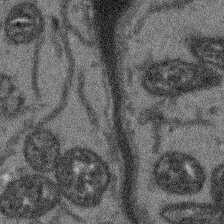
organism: Arabidopsis thaliana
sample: Root tip